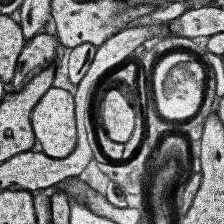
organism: Human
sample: Temporal Lobe